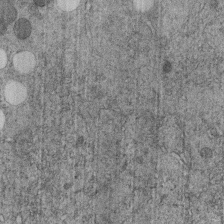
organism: C. elegans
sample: C. elegans embryo early stage